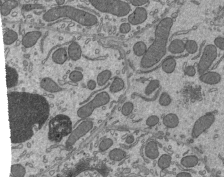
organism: Mouse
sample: Mouse epididymis efferent ductule cilia